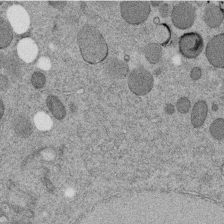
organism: C. elegans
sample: C. elegans embryo early stage